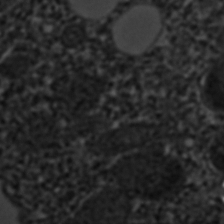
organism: C. elegans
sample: C. elegans embryo